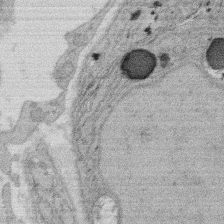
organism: Rat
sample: Salivary granule